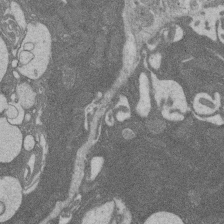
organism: Rat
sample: Salivary granule